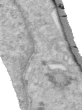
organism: Human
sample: Centriole in RPE cells